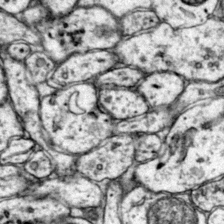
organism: Mouse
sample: Primary visual cortex